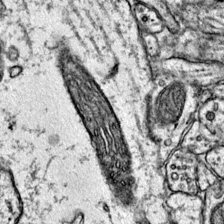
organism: Mouse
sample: Primary visual cortex